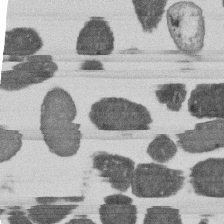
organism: E. coli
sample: Bacterial nucleoid